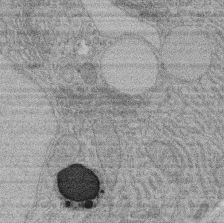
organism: Rat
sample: Salivary granule